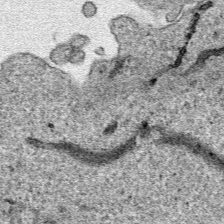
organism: Human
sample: Mitochondria in HCT116 cells